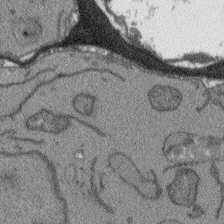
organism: Arabidopsis thaliana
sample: Root tip